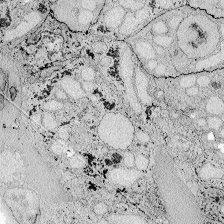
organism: Zebrafish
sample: Whole-Brain